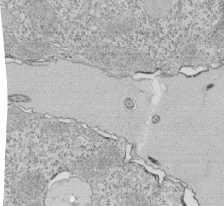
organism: Tetrahymena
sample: Cilia in tetrahymena